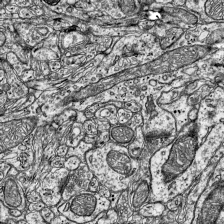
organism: Mouse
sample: Visual Cortex